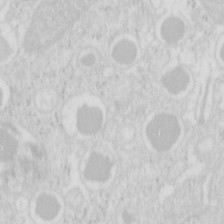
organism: Mouse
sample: Pancreas